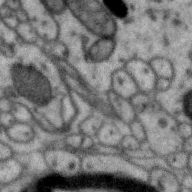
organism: Zebra finch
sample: Brain